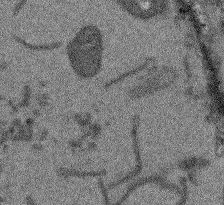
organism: Arabidopsis thaliana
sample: Root tip